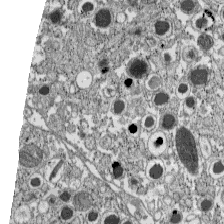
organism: C57BL Mouse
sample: Pancreatic islet